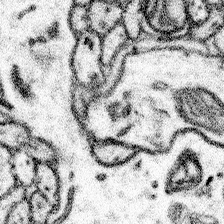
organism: Mouse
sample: Somatosensory cortex neuropil